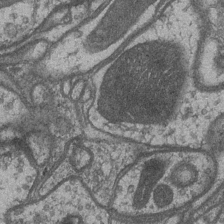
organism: Drosophila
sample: Optic medulla